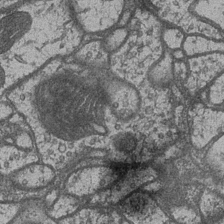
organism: Drosophila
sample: Optic medulla